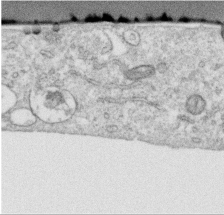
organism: Human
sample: Centriole in RPE cells